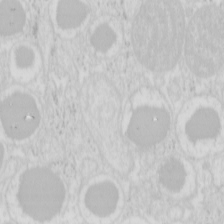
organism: Mouse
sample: Pancreas